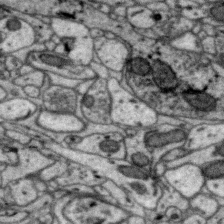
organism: Zebra finch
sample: Brain